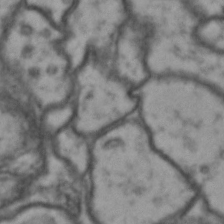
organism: Drosophila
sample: Brain